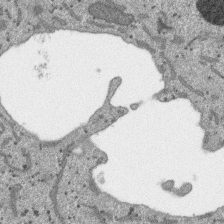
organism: Human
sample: Lung epithelial cells infected with SARS-CoV-2